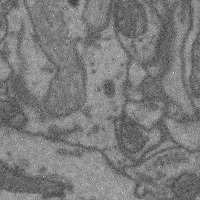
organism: Mouse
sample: Cerebral cortex